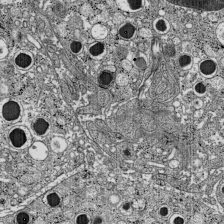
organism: C57BL Mouse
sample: Pancreatic islet